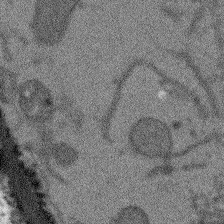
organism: Arabidopsis thaliana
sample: Root tip